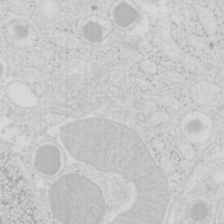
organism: Mouse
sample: Pancreas